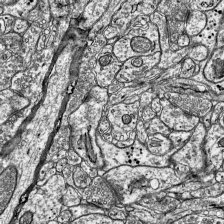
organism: Mouse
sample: Visual Cortex